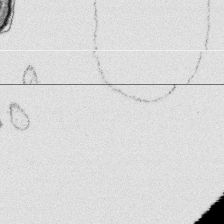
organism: Platynereis dumerilii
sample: Parapodia